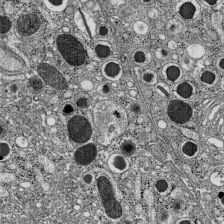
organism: C57BL Mouse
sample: Pancreatic islet